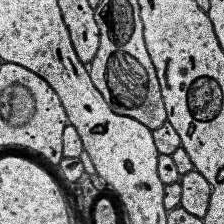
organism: Human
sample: Temporal Lobe